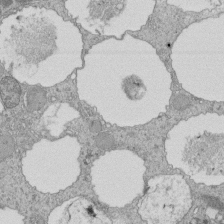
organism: Tetrahymena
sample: Cilia in tetrahymena